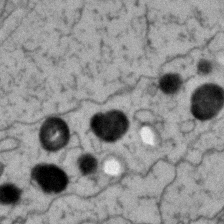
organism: Zebrafish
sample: Zebrafish embryo